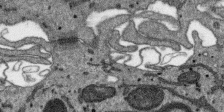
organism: Human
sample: Lung epithelial cells, uninfected (mock) control